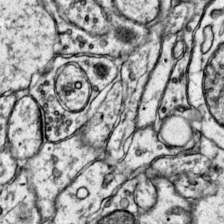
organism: Mouse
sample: Primary visual cortex